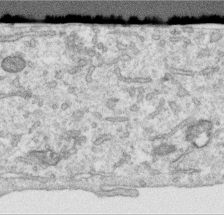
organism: Human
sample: Centriole in RPE cells